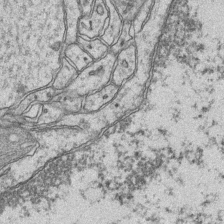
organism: Mouse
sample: CA1 Hippocampus